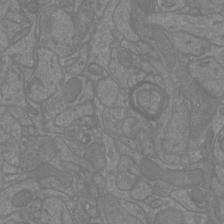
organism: Mouse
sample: Cortical neurons